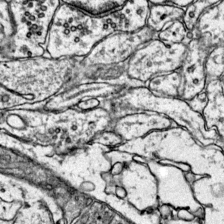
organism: Mouse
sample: Primary visual cortex